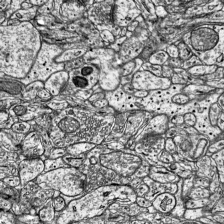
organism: Mouse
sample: Visual Cortex